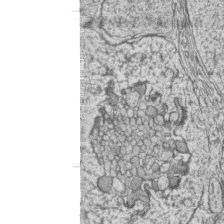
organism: Zebrafish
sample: synaptic ribbons in rod cells and cone cells